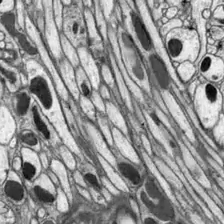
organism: Drosophila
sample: Optic lobe